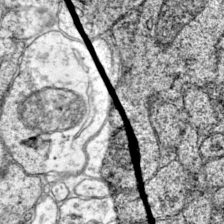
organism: Mouse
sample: Primary visual cortex